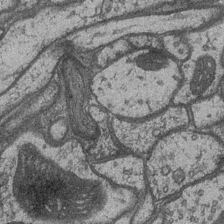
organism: Drosophila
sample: Optic medulla